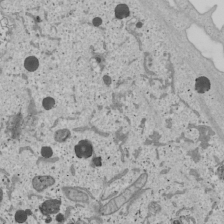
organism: Human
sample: Mitochondria in U2OS cells